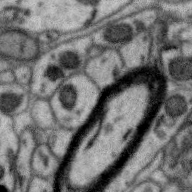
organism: Zebra finch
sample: Brain